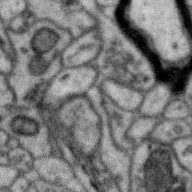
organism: Zebra finch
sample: Brain